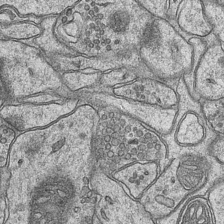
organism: Mouse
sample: CA1 Hippocampus